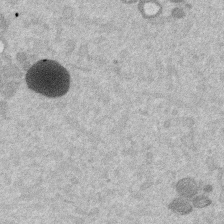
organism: Mouse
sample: Dividing mouse embryo 1 cell stage